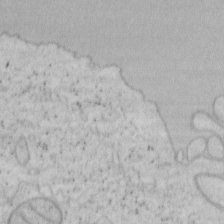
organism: Human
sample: HeLa cells